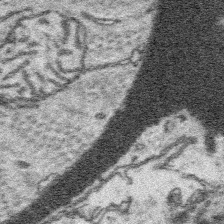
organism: Platynereis dumerilii